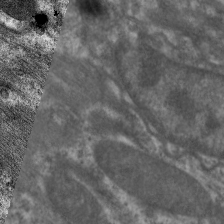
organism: C. elegans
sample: Pharynx